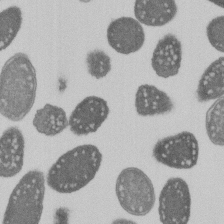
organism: E. coli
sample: Bacterial nucleoid